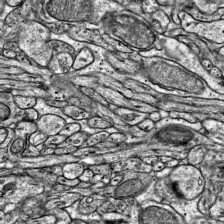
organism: Mouse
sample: Visual Cortex